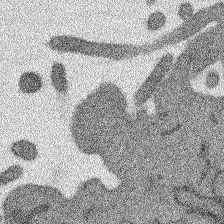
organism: Human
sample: HeLa cells